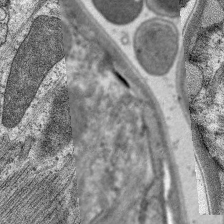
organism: C. elegans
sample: Pharynx